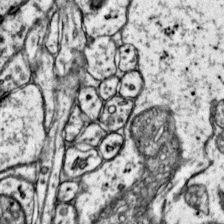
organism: Mouse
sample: Primary visual cortex